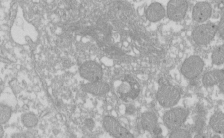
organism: Xenopus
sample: Cilia; centrioles in frog embryo cells